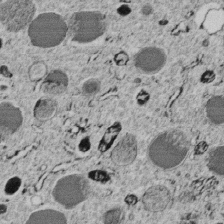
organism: C. elegans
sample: C. elegans embryo early stage